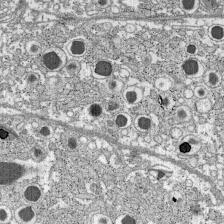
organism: C57BL Mouse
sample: Pancreatic islet